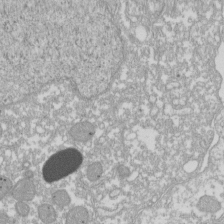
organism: Xenopus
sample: Cilia; centrioles in frog embryo cells